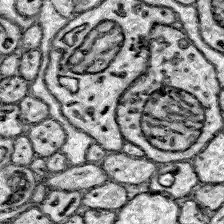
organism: Zebrafish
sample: Brain